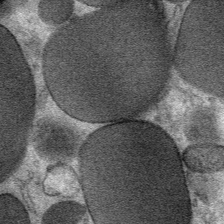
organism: Mouse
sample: Mouse Salivary gland